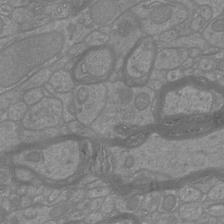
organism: Mouse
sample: Cortical neurons